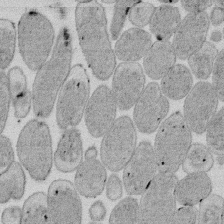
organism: E. coli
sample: Bacterial nucleoid